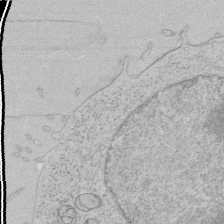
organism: Human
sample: Mitochondria in HCT116 cells